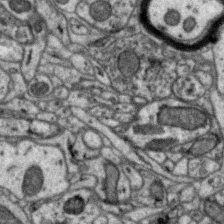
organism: Zebra finch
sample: Brain